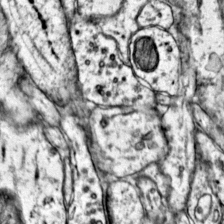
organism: Mouse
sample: Primary visual cortex